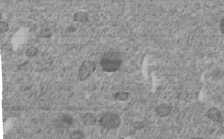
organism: C. elegans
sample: C. elegans embryo early stage